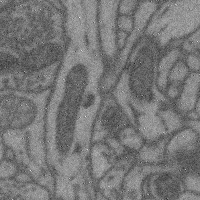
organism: Mouse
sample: Cerebral cortex